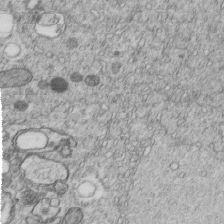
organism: C. elegans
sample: C. elegans embryo early stage